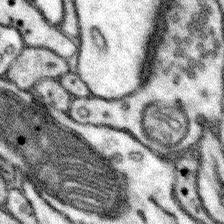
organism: Mouse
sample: Somatosensory cortex neuropil